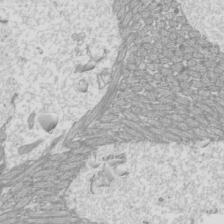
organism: Mouse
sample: Cilia; mouse epididymis